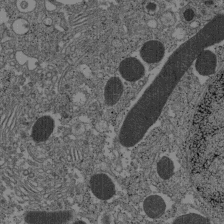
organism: C57BL Mouse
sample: Pancreatic islet